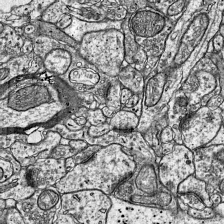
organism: Mouse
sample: Visual Cortex